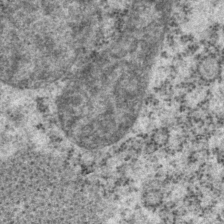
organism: P. pacificus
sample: Pharynx